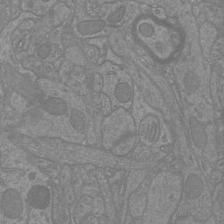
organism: Mouse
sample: Cortical neurons